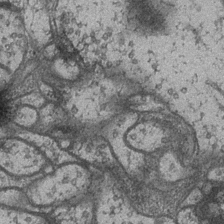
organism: Drosophila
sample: Optic medulla